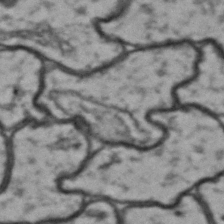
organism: Drosophila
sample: Brain